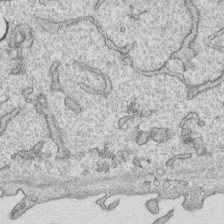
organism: Human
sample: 1205lu cells